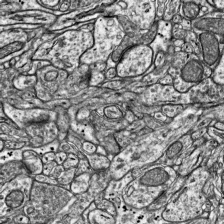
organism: Mouse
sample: Visual Cortex